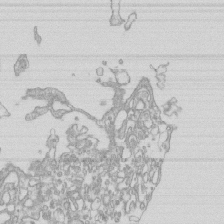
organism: Mouse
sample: Macrophages